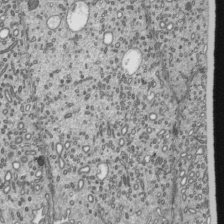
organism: Mouse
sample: Mouse epididymis efferent ductule cilia